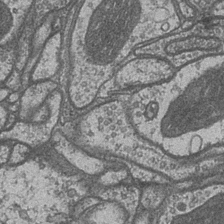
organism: Drosophila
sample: Optic medulla